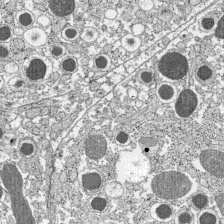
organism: C57BL Mouse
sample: Pancreatic islet